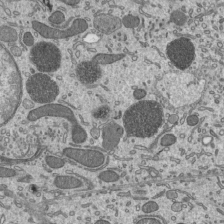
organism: Mouse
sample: Mouse epididymis efferent ductule cilia